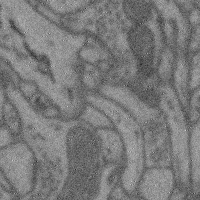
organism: Mouse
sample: Cerebral cortex